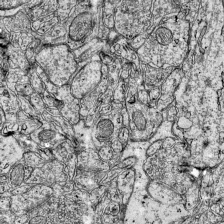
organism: Mouse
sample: Visual Cortex